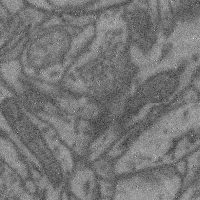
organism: Mouse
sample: Cerebral cortex